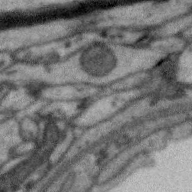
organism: Zebra finch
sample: Brain